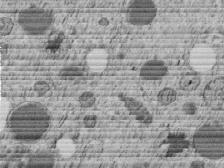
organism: C. elegans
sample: C. elegans embryo early stage